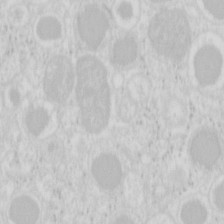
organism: Mouse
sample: Pancreas